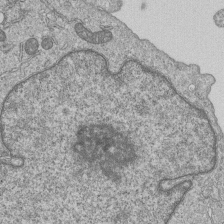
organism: Human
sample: MDA-MB-231 cells